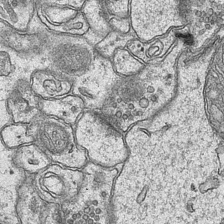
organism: Mouse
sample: CA1 Hippocampus